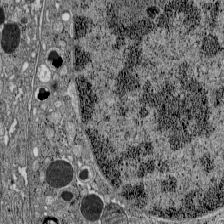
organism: C57BL Mouse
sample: Pancreatic islet